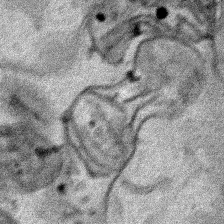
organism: Human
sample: Mitochondria in HCT116 cells